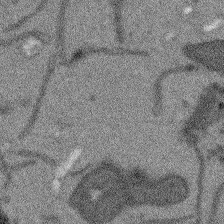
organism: Arabidopsis thaliana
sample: Root tip